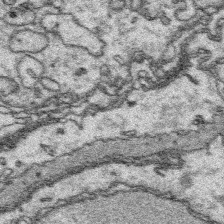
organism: Platynereis dumerilii